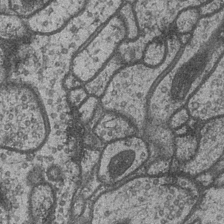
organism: Drosophila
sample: Optic medulla